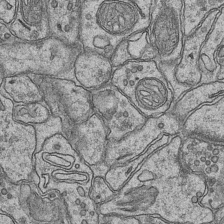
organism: Mouse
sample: CA1 Hippocampus